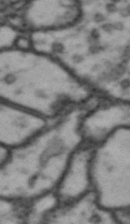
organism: Drosophila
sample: Brain